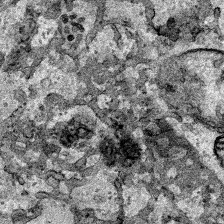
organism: Human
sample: Mitochondria in HCT116 cells